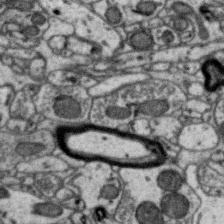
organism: Zebra finch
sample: Brain